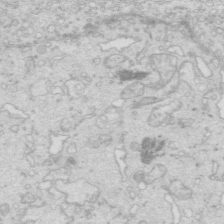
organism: Mouse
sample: Multiciliated cells